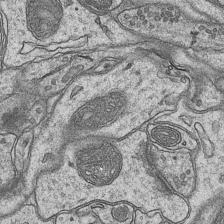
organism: Mouse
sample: CA1 Hippocampus